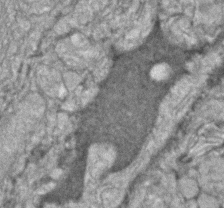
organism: Zebrafish